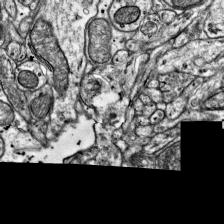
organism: Mouse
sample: Visual Cortex